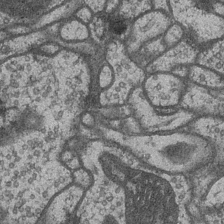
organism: Drosophila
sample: Optic medulla